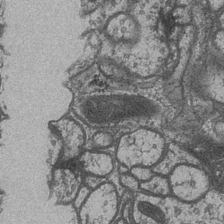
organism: Drosophila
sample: Optic medulla